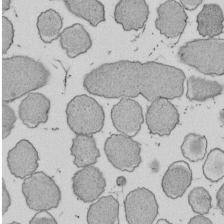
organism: E. coli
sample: Bacterial nucleoid